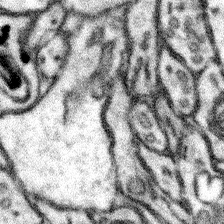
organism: Mouse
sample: Somatosensory cortex neuropil